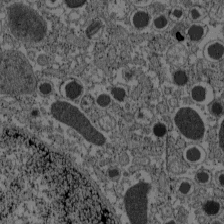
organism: C57BL Mouse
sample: Pancreatic islet